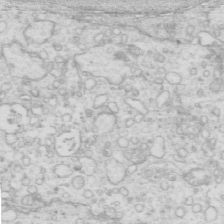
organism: Mouse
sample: Multiciliated cells